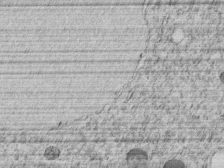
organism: C. elegans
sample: C. elegans embryo early stage